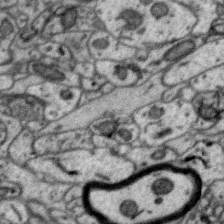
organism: Zebra finch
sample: Brain